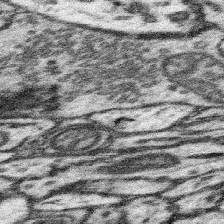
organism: Mouse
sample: Somatosensory cortex neuropil